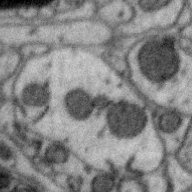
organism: Zebra finch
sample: Brain